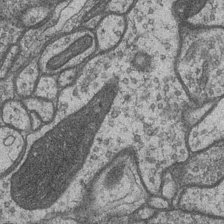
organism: Drosophila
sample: Optic medulla